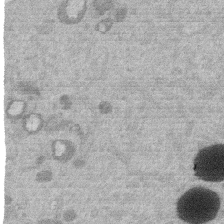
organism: Mouse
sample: Dividing mouse embryo 1 cell stage